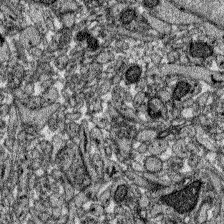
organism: Zebrafish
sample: Larval olfactory bulb